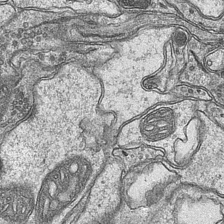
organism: Mouse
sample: CA1 Hippocampus